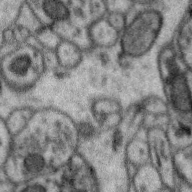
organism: Zebra finch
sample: Brain